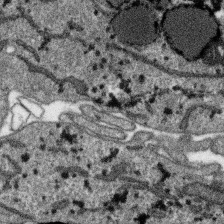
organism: Human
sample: Lung epithelial cells infected with SARS-CoV-2